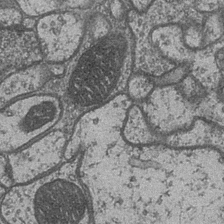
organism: Drosophila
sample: Optic medulla